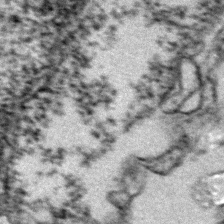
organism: Zebrafish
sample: Zebrafish embryo